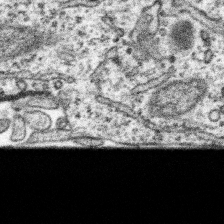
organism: Human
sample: HeLa cells